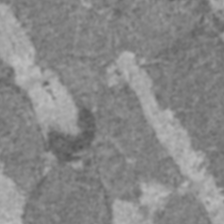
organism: C57BL Mouse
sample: Heart